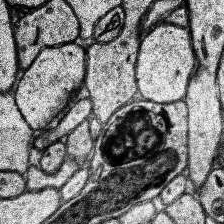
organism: Human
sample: Temporal Lobe